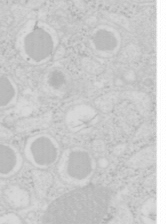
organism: Mouse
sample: Pancreas